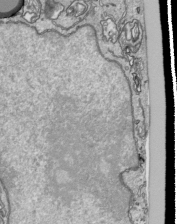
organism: Human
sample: Mitochondria in HCT116 cells